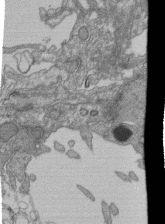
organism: Human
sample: Retinal organoid Rod and Cone cells